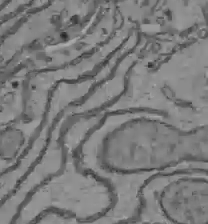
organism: C57BL Mouse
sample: Liver